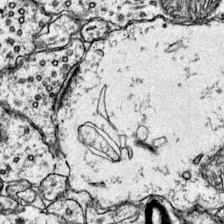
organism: Mouse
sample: Primary visual cortex